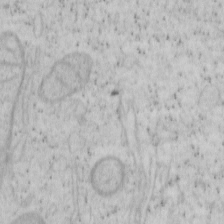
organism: Human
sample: HeLa cells